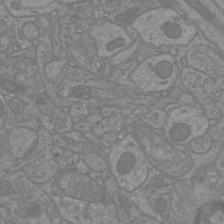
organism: Mouse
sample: Cortical neurons